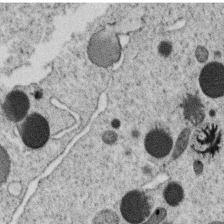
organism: C. elegans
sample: C. elegans oocyte; sperm cells